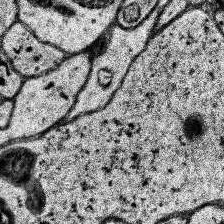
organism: Human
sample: Temporal Lobe